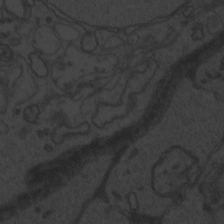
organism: Zebrafish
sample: Macrophage infected with Toxoplasma gondii